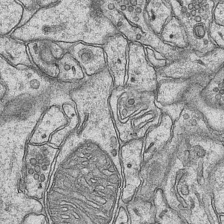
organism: Mouse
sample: CA1 Hippocampus